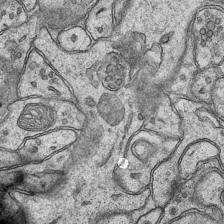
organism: Mouse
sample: CA1 Hippocampus